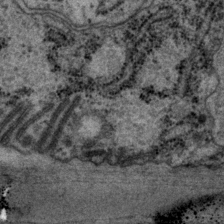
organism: P. pacificus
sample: Pharynx